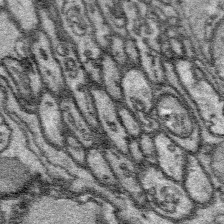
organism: Platynereis dumerilii